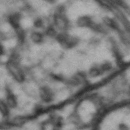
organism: Drosophila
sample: Brain